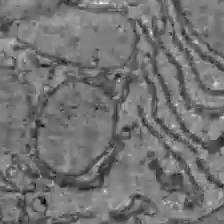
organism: C57BL Mouse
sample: Liver